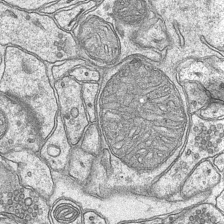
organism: Mouse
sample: CA1 Hippocampus